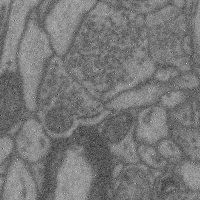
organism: Mouse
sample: Cerebral cortex